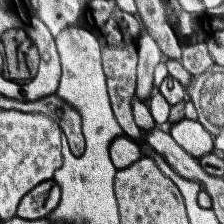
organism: Human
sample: Temporal Lobe